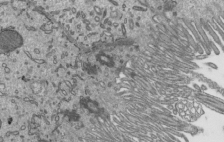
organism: Mouse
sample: Mouse epididymis efferent ductule cilia